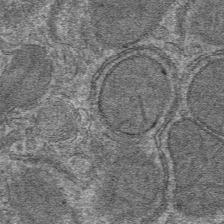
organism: Mouse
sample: Mouse hepatocytes